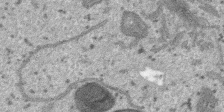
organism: Human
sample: Lung epithelial cells infected with SARS-CoV-2